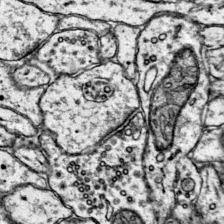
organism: Mouse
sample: Primary visual cortex